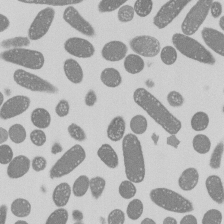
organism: E. coli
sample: Bacterial nucleoid